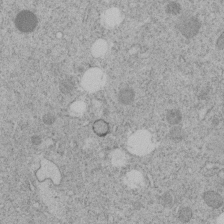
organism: C. elegans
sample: C. elegans embryo early stage